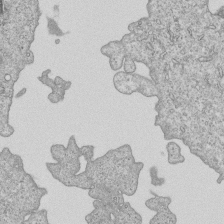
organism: Human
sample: MDA-MB-231 cells